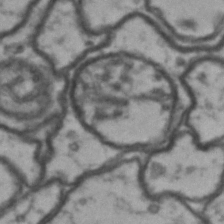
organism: Drosophila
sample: Brain